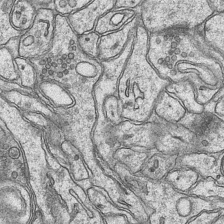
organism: Mouse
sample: CA1 Hippocampus